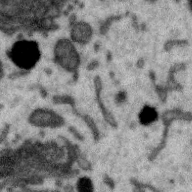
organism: Zebra finch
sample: Brain